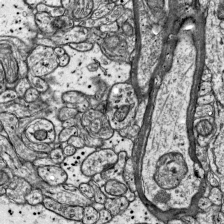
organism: Mouse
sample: Visual Cortex